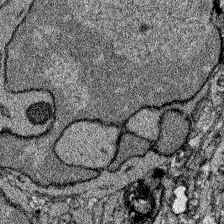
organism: Zebrafish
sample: Larval olfactory bulb